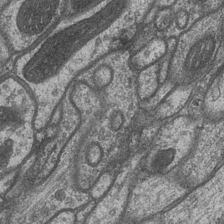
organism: Drosophila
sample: Optic medulla